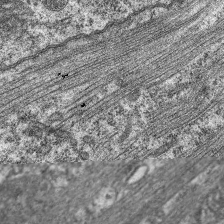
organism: C. elegans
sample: Pharynx